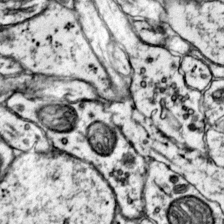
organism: Mouse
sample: Primary visual cortex